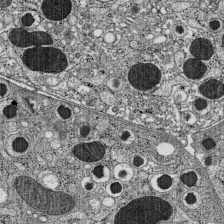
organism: C57BL Mouse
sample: Pancreatic islet